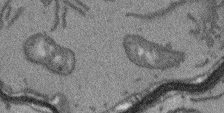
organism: Arabidopsis thaliana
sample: Root tip